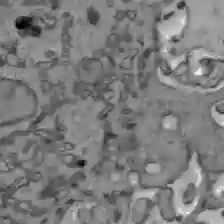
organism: C57BL Mouse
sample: Liver